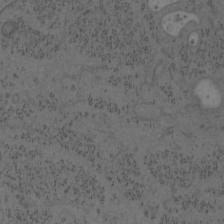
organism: Mouse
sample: OT-I killer T cells with ID8 ovarian cancer cells